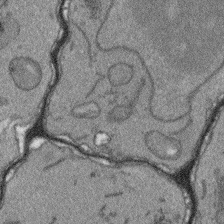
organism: Arabidopsis thaliana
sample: Root tip